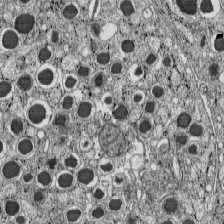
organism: C57BL Mouse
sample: Pancreatic islet